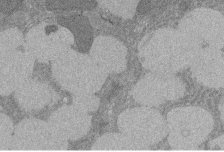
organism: Rat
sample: Salivary granule